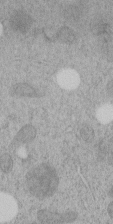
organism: C. elegans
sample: C. elegans embryo early stage